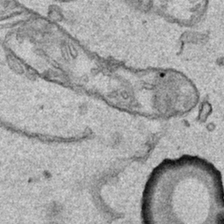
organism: Human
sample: Mitochondria in HCT116 cells